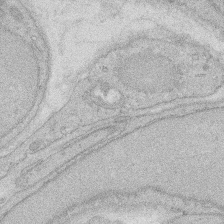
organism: Rat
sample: Salivary granule